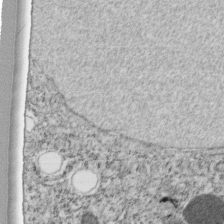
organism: C. elegans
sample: C. elegans embryo early stage